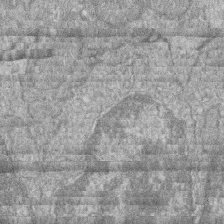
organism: Zebrafish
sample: Cilia; retinal pigment epithelium